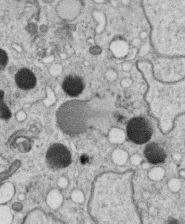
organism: C. elegans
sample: C. elegans oocyte; sperm cells